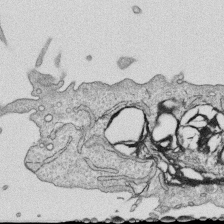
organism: Human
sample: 1205lu cells